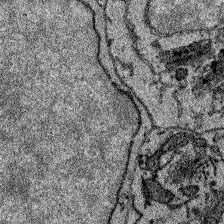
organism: Zebrafish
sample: Larval olfactory bulb